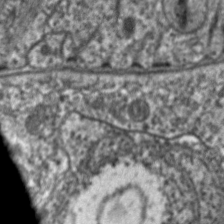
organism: C. elegans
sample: Pharynx